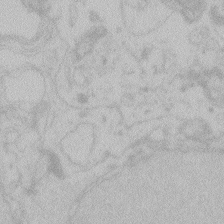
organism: Zebrafish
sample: Macrophage infected with Toxoplasma gondii